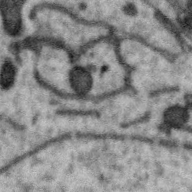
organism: Zebra finch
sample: Brain